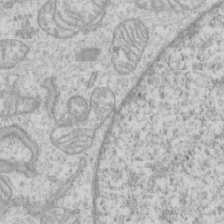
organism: Human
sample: CRL-1474